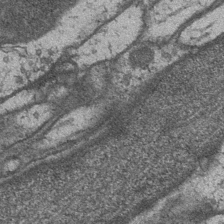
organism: Drosophila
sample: Optic medulla